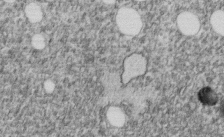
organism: C. elegans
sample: C. elegans embryo early stage